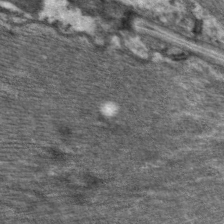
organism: C. elegans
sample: Pharynx